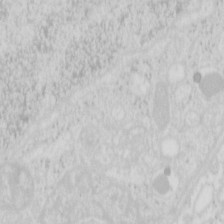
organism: Mouse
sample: Pancreas